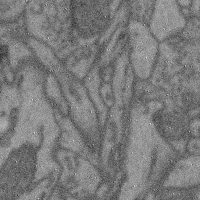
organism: Mouse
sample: Cerebral cortex